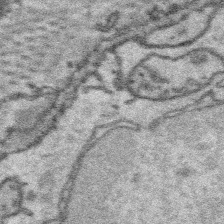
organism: Platynereis dumerilii